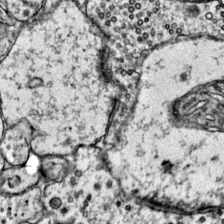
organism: Mouse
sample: Primary visual cortex